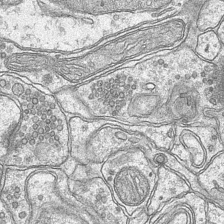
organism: Mouse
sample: CA1 Hippocampus